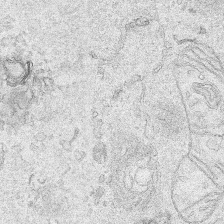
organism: Human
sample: Mitochondria in HCT116 cells